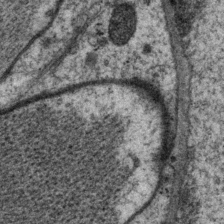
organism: P. pacificus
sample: Pharynx